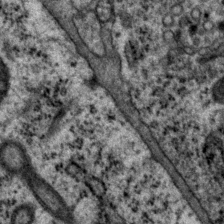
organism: P. pacificus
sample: Pharynx